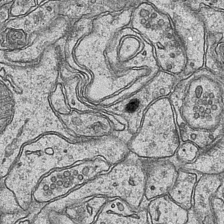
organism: Mouse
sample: CA1 Hippocampus